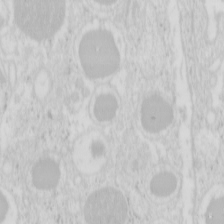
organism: Mouse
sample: Pancreas